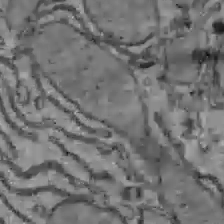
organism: C57BL Mouse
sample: Liver